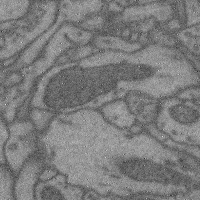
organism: Mouse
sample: Cerebral cortex